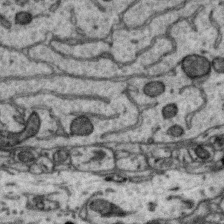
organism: Zebra finch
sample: Brain